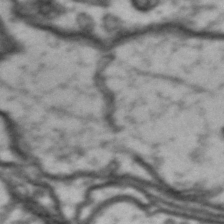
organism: Drosophila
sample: Brain